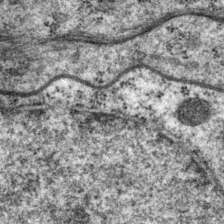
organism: P. pacificus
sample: Pharynx